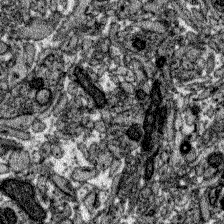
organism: Zebrafish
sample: Larval olfactory bulb